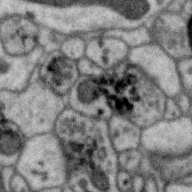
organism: Zebra finch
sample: Brain